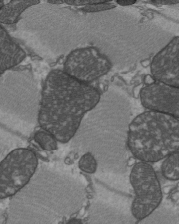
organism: C57BL Mouse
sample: Heart